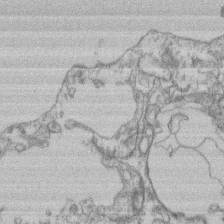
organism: Mouse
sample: T cell stromal cell synapse